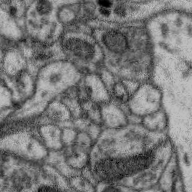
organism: Zebra finch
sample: Brain